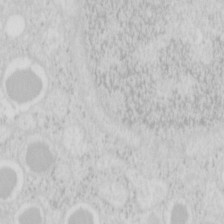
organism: Mouse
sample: Pancreas